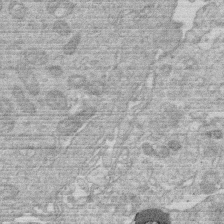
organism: Human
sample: Macrophage cells